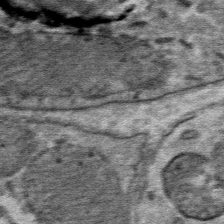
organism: Mouse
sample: Mouse Salivary gland